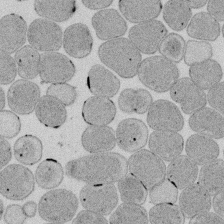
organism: E. coli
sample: Bacterial nucleoid